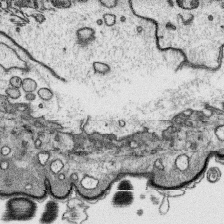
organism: Platynereis dumerilii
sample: Parapodia